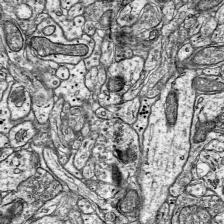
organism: Mouse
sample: Visual Cortex